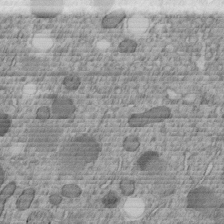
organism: C. elegans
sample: C. elegans embryo early stage